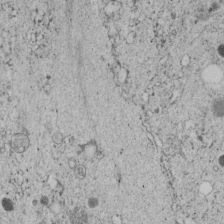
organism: C. elegans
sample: C. elegans embryo early stage